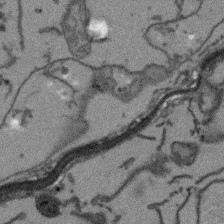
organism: Arabidopsis thaliana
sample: Root tip